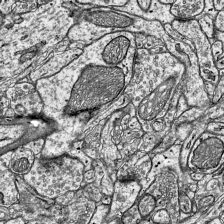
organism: Mouse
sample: Visual Cortex